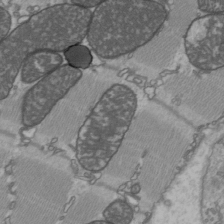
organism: C57BL Mouse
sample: Heart